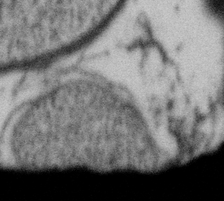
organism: Gemmata obscuriglobus